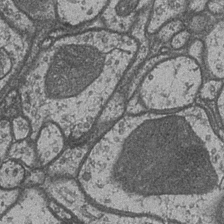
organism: Drosophila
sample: Optic medulla